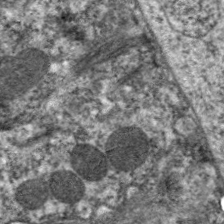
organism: C. elegans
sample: Pharynx